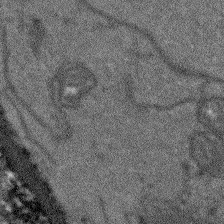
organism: Arabidopsis thaliana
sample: Root tip